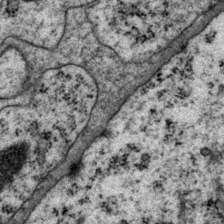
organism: P. pacificus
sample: Pharynx